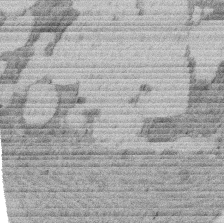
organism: Rat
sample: Salivary granule